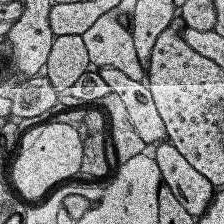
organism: Human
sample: Temporal Lobe